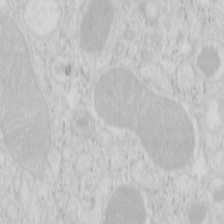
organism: Mouse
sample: Pancreas